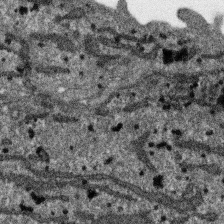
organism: Human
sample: Lung epithelial cells infected with SARS-CoV-2